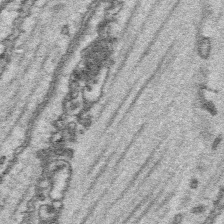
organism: Platynereis dumerilii